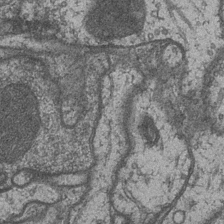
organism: Drosophila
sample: Optic medulla